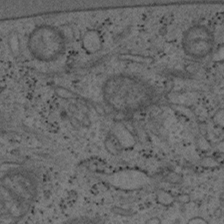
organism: Human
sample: HeLa cells